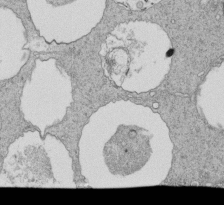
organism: Tetrahymena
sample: Cilia in tetrahymena